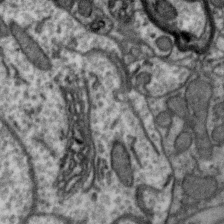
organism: Zebra finch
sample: Brain